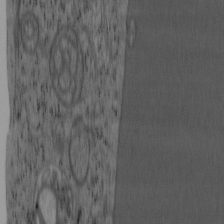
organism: Human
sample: HeLa cells